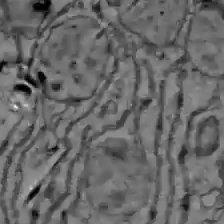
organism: C57BL Mouse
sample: Liver